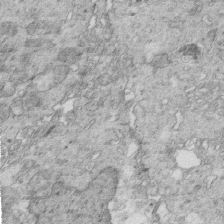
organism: Mouse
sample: Multiciliated cells